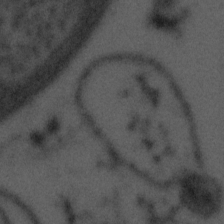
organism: Tuwongella immobilis